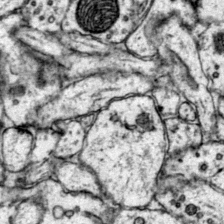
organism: Mouse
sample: Primary visual cortex